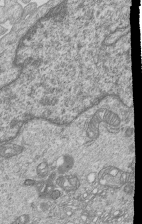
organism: Human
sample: MDA-MB-231 cells